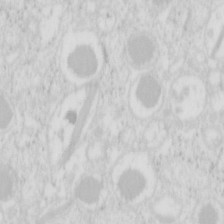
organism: Mouse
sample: Pancreas